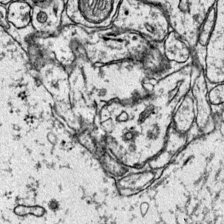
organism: Mouse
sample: Primary visual cortex